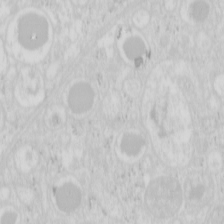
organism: Mouse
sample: Pancreas